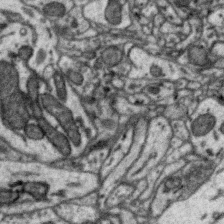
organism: Zebra finch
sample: Brain